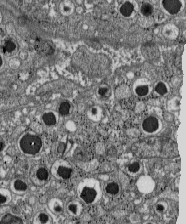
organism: C57BL Mouse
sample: Pancreatic islet